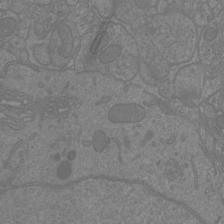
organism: Mouse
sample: Cortical neurons